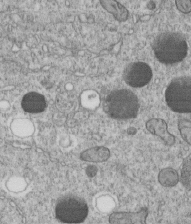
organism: C. elegans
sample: C. elegans embryo early stage